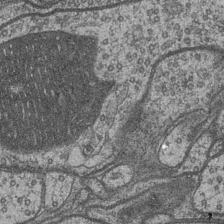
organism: Drosophila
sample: Optic medulla